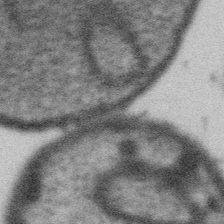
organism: Gemmata obscuriglobus